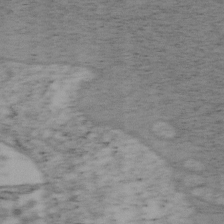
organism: Mouse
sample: OT-I killer T cells with ID8 ovarian cancer cells